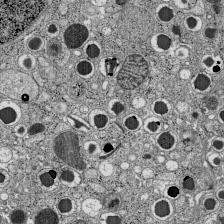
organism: C57BL Mouse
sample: Pancreatic islet